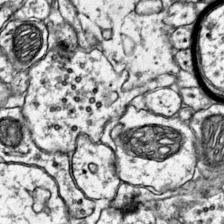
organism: Mouse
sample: Primary visual cortex